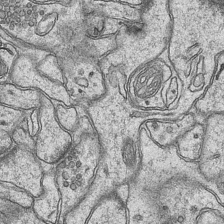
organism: Mouse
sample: CA1 Hippocampus